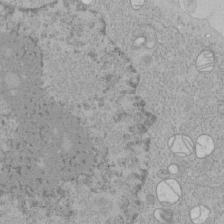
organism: Human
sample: Mitochondria in HCT116 cells